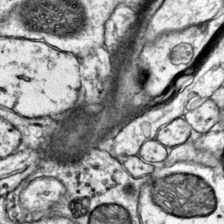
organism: Mouse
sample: Primary visual cortex